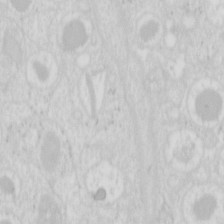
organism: Mouse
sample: Pancreas